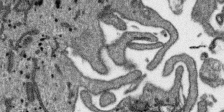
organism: Human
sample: Lung epithelial cells, uninfected (mock) control